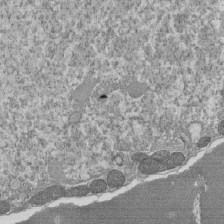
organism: Tetrahymena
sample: Cilia in tetrahymena